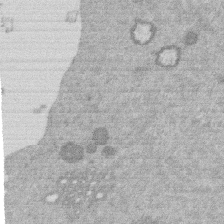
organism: Mouse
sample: Dividing mouse embryo 1 cell stage